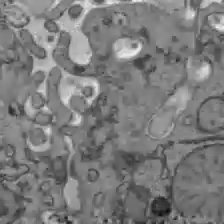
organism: C57BL Mouse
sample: Liver